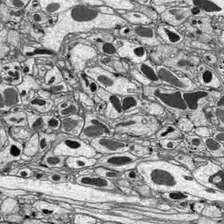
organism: Drosophila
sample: Optic lobe